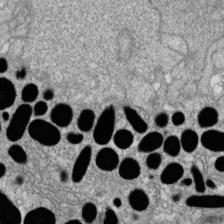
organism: Zebrafish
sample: Cilia; retinal pigment epithelium